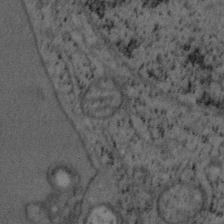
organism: Human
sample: HeLa cells